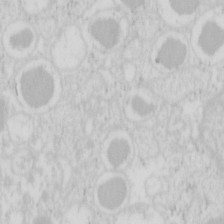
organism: Mouse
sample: Pancreas